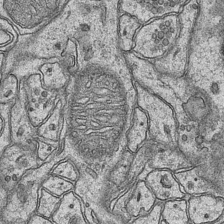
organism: Mouse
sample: CA1 Hippocampus